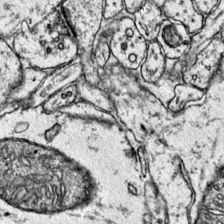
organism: Mouse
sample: Primary visual cortex